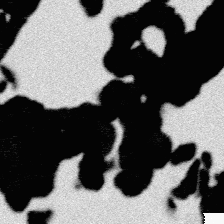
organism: Platynereis dumerilii